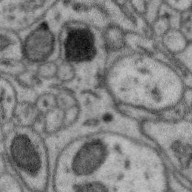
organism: Zebra finch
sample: Brain